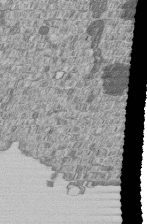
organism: Human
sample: MDA-MB-231 cells